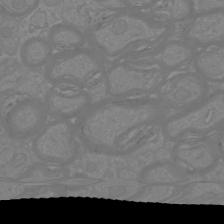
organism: Mouse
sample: Cortical neurons